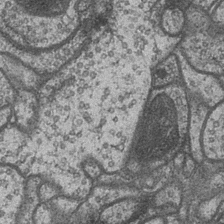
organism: Drosophila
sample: Optic medulla